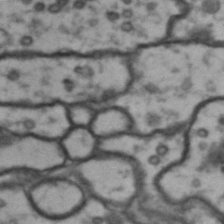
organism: Drosophila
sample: Brain